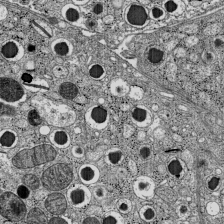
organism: C57BL Mouse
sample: Pancreatic islet